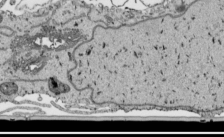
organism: Human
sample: Mitochondria in HCT116 cells